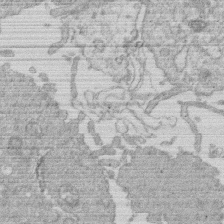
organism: Human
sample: Macrophage cells